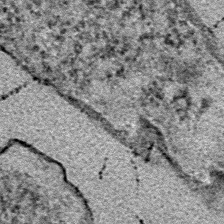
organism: E. coli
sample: E. Coli Bacteria